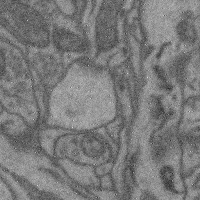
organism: Mouse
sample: Cerebral cortex